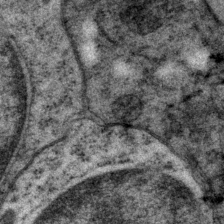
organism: P. pacificus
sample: Pharynx